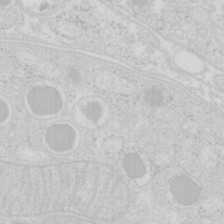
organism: Mouse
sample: Pancreas